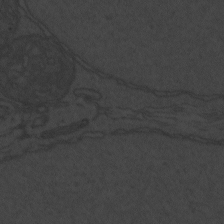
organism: Zebrafish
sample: Macrophage infected with Toxoplasma gondii